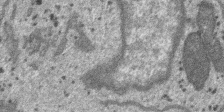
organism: Human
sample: Lung epithelial cells infected with SARS-CoV-2